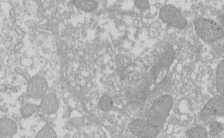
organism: Xenopus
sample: Cilia; centrioles in frog embryo cells